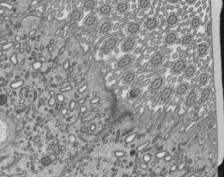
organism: Mouse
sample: Mouse epididymis efferent ductule cilia